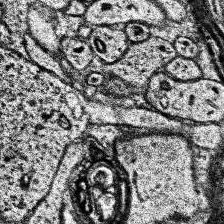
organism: Human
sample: Temporal Lobe